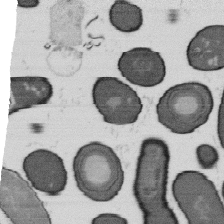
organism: B. subtilis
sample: Bacterial spore